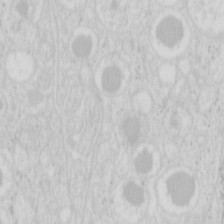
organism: Mouse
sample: Pancreas